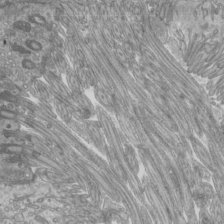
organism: Mouse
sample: Cilia; mouse epididymis